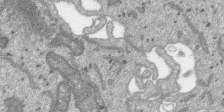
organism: Human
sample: Lung epithelial cells infected with SARS-CoV-2